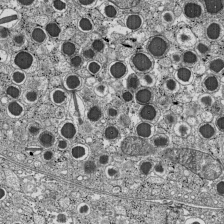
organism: C57BL Mouse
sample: Pancreatic islet